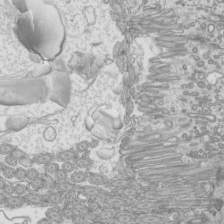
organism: Mouse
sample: Cilia; mouse epididymis